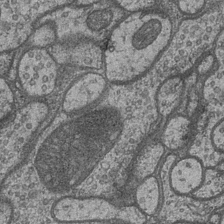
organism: Drosophila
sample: Optic medulla